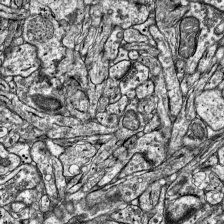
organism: Mouse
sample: Visual Cortex